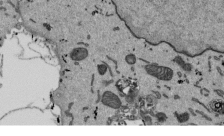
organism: Mouse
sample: ED-1 cell nuclei; centrioles